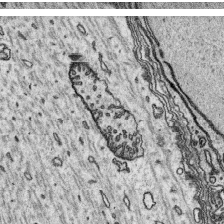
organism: Platynereis dumerilii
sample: Parapodia